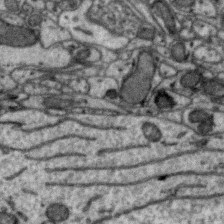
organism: Zebra finch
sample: Brain